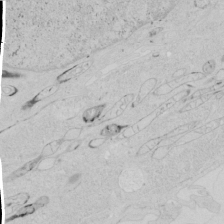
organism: Human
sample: Mitochondria in HCT116 cells